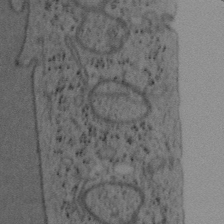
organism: Human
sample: HeLa cells